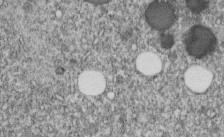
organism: C. elegans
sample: C. elegans embryo early stage